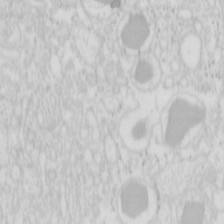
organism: Mouse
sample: Pancreas